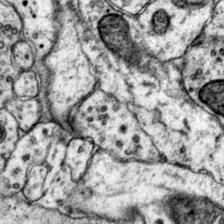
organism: Mouse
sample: Primary visual cortex